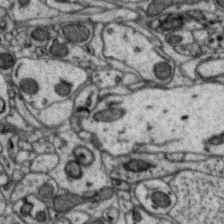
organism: Zebra finch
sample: Brain